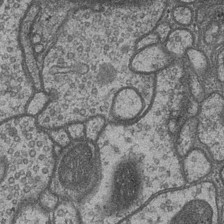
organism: Drosophila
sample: Optic medulla